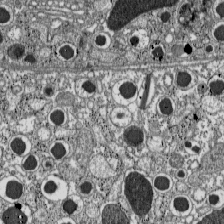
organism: C57BL Mouse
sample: Pancreatic islet